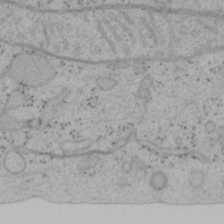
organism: Human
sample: HeLa cells